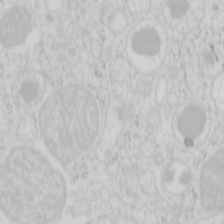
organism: Mouse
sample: Pancreas